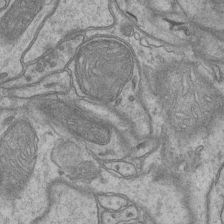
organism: Mouse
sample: CA1 Hippocampus